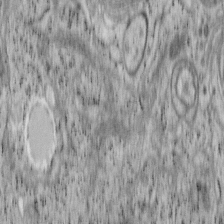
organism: Human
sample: HeLa cells